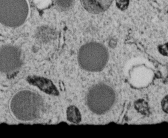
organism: C. elegans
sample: C. elegans embryo early stage